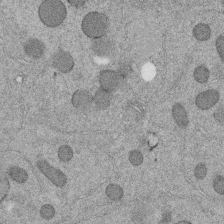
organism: C. elegans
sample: C. elegans embryo early stage